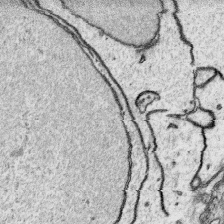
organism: Platynereis dumerilii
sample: Parapodia